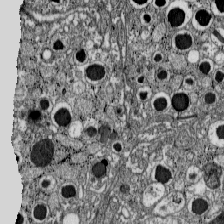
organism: C57BL Mouse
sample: Pancreatic islet